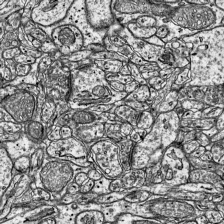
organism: Mouse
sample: Visual Cortex